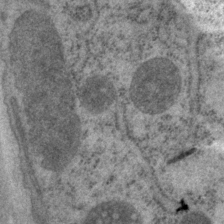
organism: P. pacificus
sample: Pharynx